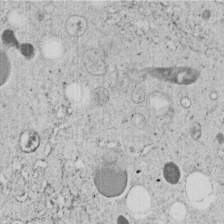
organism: C. elegans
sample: C. elegans embryo early stage